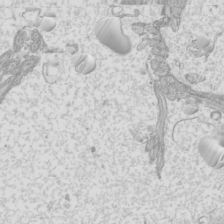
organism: Mouse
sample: Cilia; mouse epididymis